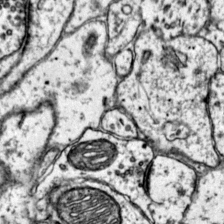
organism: Mouse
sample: Primary visual cortex